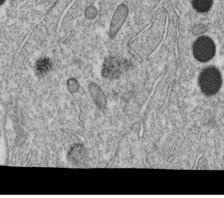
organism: C. elegans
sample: C. elegans oocyte; sperm cells